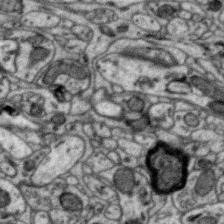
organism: Zebra finch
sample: Brain